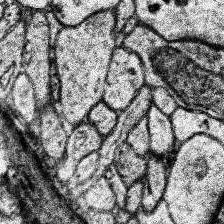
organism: Human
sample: Temporal Lobe